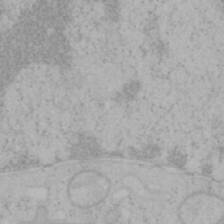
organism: Mouse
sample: OT-I killer T cells with ID8 ovarian cancer cells